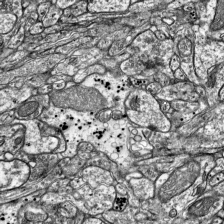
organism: Mouse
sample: Visual Cortex